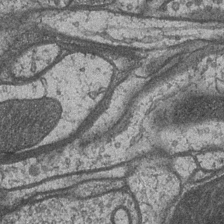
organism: Drosophila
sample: Optic medulla